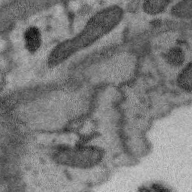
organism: Zebra finch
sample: Brain